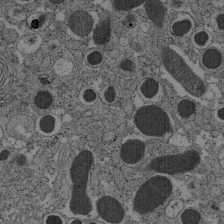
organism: C57BL Mouse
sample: Pancreatic islet